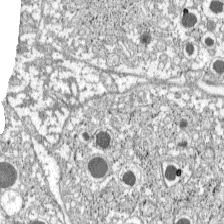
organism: C57BL Mouse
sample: Pancreatic islet